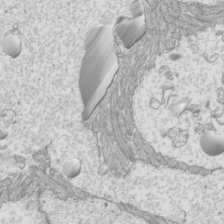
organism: Mouse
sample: Cilia; mouse epididymis